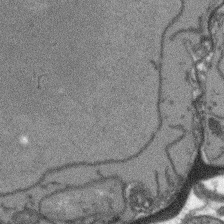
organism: Arabidopsis thaliana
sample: Root tip